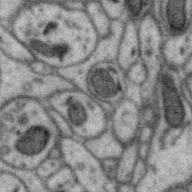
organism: Zebra finch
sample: Brain